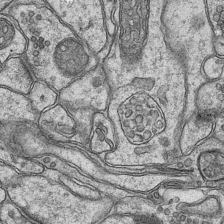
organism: Mouse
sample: CA1 Hippocampus